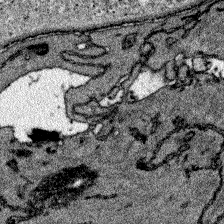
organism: Zebrafish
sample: Larval olfactory bulb